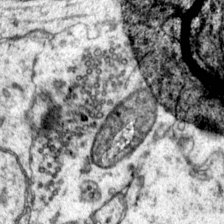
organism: Mouse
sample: Primary visual cortex